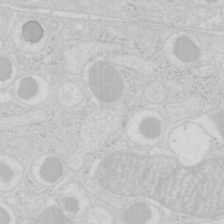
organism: Mouse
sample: Pancreas